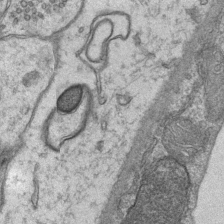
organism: Mouse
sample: CA1 Hippocampus